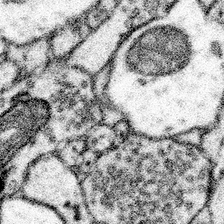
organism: Mouse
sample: Somatosensory cortex neuropil